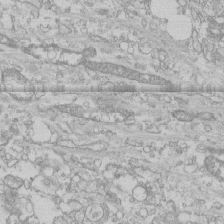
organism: Human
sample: CRL-1474